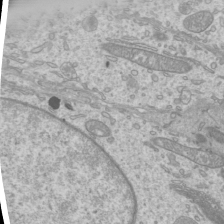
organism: Mouse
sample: Cilia; mouse epididymis